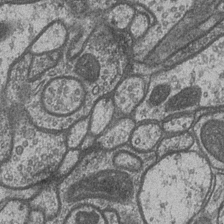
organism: Drosophila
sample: Optic medulla